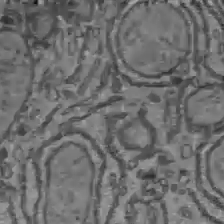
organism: C57BL Mouse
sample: Liver